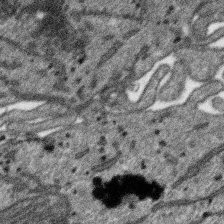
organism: Human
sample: Lung epithelial cells infected with SARS-CoV-2